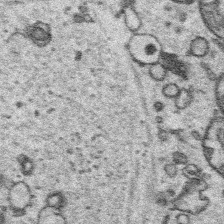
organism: Platynereis dumerilii